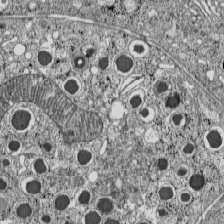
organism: C57BL Mouse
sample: Pancreatic islet